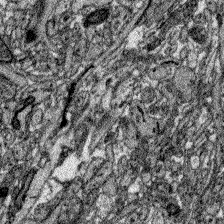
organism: Zebrafish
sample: Larval olfactory bulb